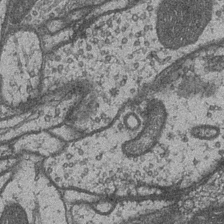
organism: Drosophila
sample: Optic medulla